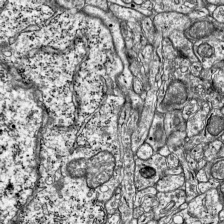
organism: Mouse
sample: Visual Cortex